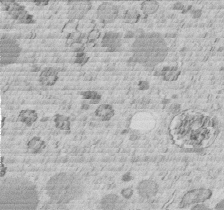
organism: C. elegans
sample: C. elegans embryo early stage